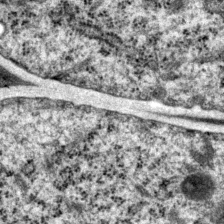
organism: P. pacificus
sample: Pharynx